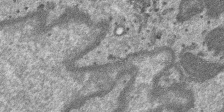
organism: Human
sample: Lung epithelial cells infected with SARS-CoV-2